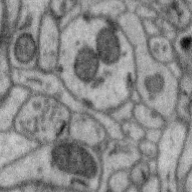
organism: Zebra finch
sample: Brain